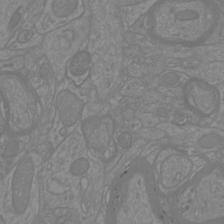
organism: Mouse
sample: Cortical neurons